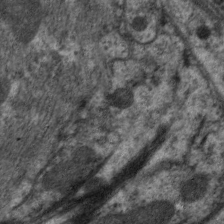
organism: C. elegans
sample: Pharynx